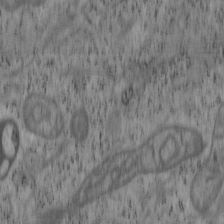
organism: Human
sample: HeLa cells